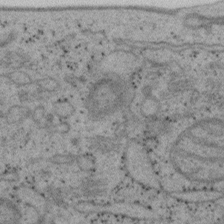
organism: Human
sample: HeLa cells